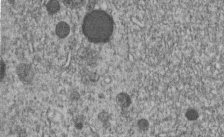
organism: C. elegans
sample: C. elegans embryo early stage